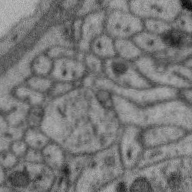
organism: Zebra finch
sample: Brain